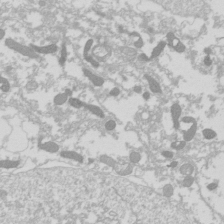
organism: Drosophila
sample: Cell division; meiosis; drosophila spermatocytes